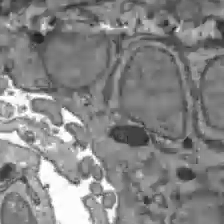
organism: C57BL Mouse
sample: Liver